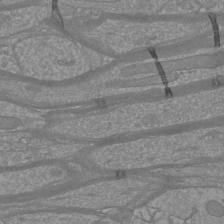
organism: Mouse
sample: Cortical neurons